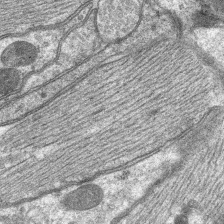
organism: C. elegans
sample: Pharynx